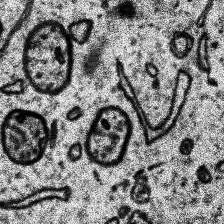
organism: Human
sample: Temporal Lobe